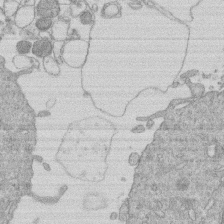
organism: Human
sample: Macrophage cells